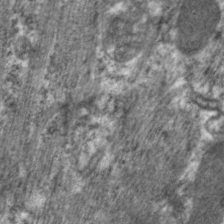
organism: C. elegans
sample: Pharynx